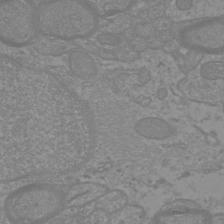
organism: Mouse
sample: Cortical neurons